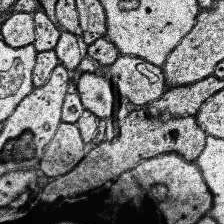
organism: Human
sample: Temporal Lobe